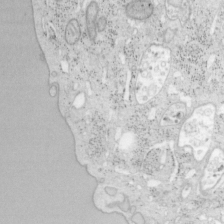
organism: Mouse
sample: OT-I killer T cells with ID8 ovarian cancer cells